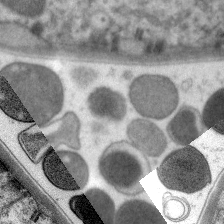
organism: C. elegans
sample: Pharynx